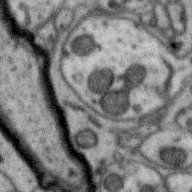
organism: Zebra finch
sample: Brain